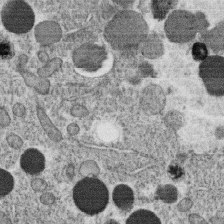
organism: C. elegans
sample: C. elegans oocyte; sperm cells